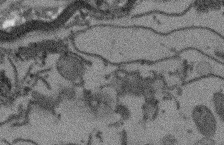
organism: Arabidopsis thaliana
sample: Root tip